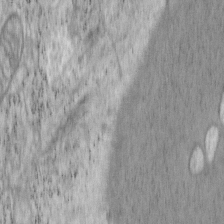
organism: Human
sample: HeLa cells